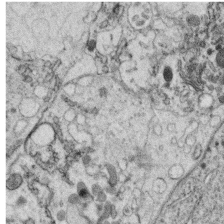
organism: C. elegans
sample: C. elegans oocyte; sperm cells